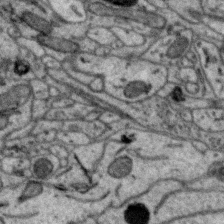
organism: Zebra finch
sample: Brain